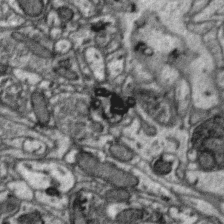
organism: Zebra finch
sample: Brain